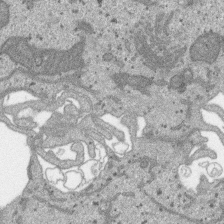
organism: Human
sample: Lung epithelial cells infected with SARS-CoV-2